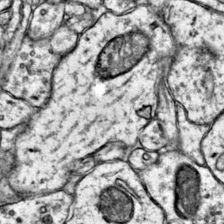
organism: Mouse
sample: Primary visual cortex